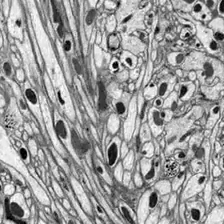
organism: Drosophila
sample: Optic lobe